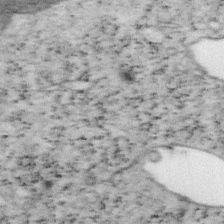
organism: Mouse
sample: OT-I killer T cells with ID8 ovarian cancer cells